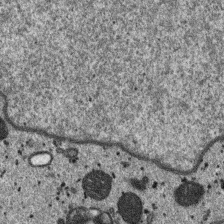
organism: Human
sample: Lung epithelial cells infected with SARS-CoV-2